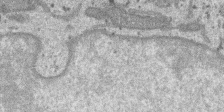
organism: Human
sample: Lung epithelial cells infected with SARS-CoV-2